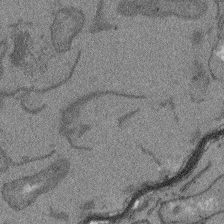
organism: Arabidopsis thaliana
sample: Root tip